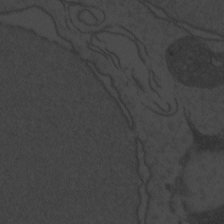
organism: Zebrafish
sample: Macrophage infected with Toxoplasma gondii